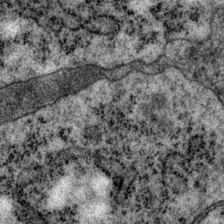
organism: P. pacificus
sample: Pharynx